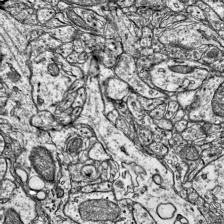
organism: Mouse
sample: Visual Cortex